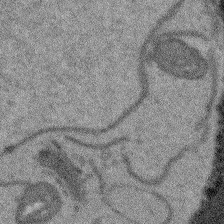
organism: Arabidopsis thaliana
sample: Root tip